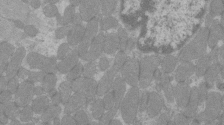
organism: C57BL Mouse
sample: Tibialis anterior muscle cell